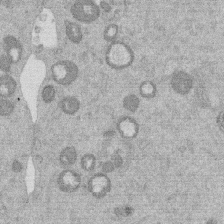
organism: Mouse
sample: Dividing mouse embryo 1 cell stage